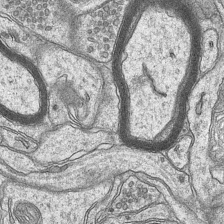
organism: Mouse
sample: CA1 Hippocampus